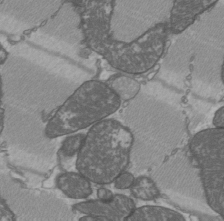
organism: C57BL Mouse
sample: Heart